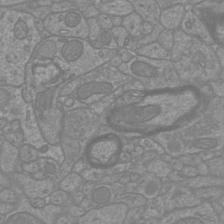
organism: Mouse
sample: Cortical neurons